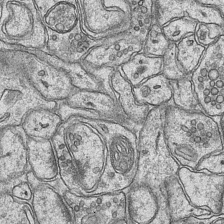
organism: Mouse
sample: CA1 Hippocampus